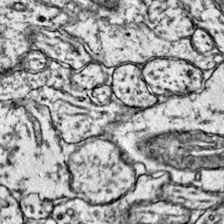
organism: Mouse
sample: Primary visual cortex